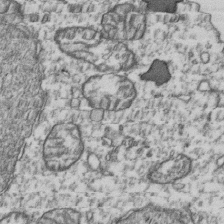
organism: Human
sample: Activated Jurkat CD4+ T cells